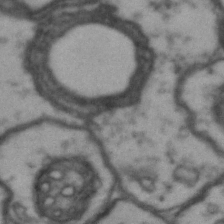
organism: Drosophila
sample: Brain